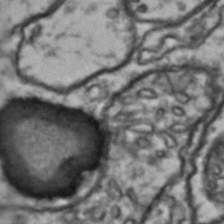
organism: Drosophila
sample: Brain